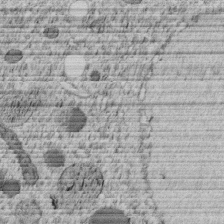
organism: C. elegans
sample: C. elegans embryo early stage